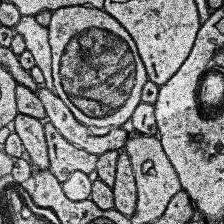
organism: Human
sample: Temporal Lobe